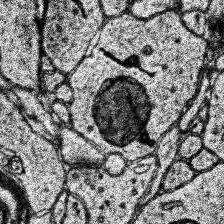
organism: Human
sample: Temporal Lobe